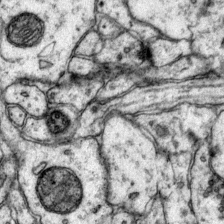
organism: Mouse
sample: Primary visual cortex